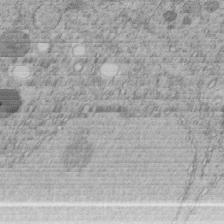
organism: C. elegans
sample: C. elegans embryo early stage